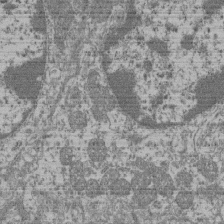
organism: Mouse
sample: Glomerulus